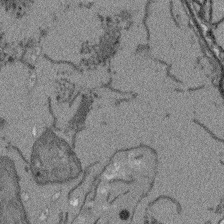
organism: Arabidopsis thaliana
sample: Root tip